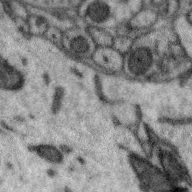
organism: Zebra finch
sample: Brain